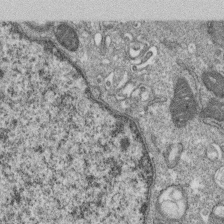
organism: African green monkey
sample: Vero E6 cells infected with SARS-CoV-2